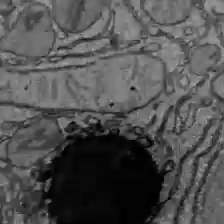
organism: C57BL Mouse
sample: Liver